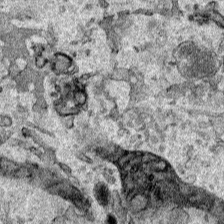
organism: Human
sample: Mitochondria in HCT116 cells